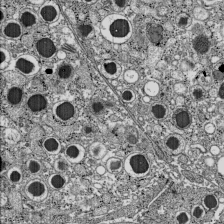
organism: C57BL Mouse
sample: Pancreatic islet